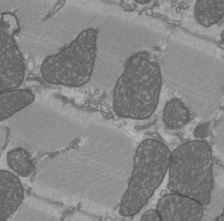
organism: C57BL Mouse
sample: Heart